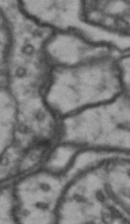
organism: Drosophila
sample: Brain